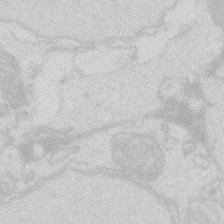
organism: Zebrafish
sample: Macrophage